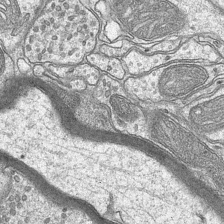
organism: Mouse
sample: CA1 Hippocampus